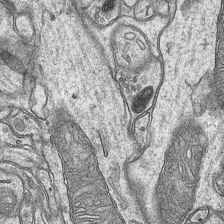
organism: Mouse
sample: CA1 Hippocampus